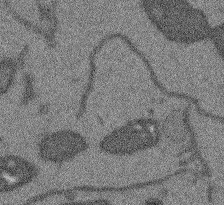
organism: Arabidopsis thaliana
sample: Root tip